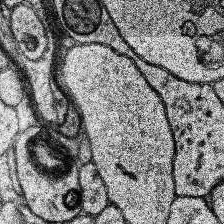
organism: Human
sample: Temporal Lobe